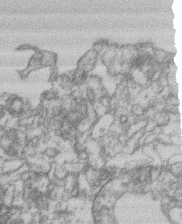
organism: Mouse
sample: T cell stromal cell synapse